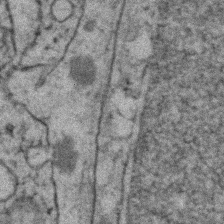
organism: Zebrafish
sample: Zebrafish embryo